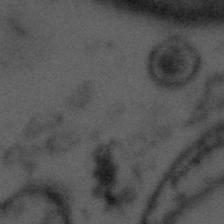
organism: Tuwongella immobilis